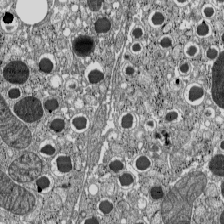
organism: C57BL Mouse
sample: Pancreatic islet